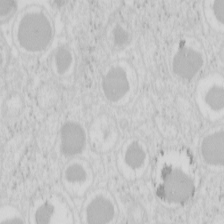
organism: Mouse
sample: Pancreas